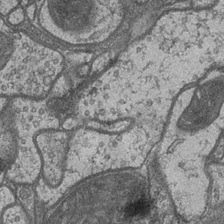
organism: Drosophila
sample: Optic medulla